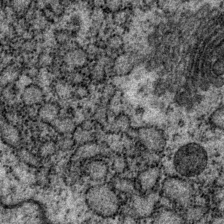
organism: P. pacificus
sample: Pharynx